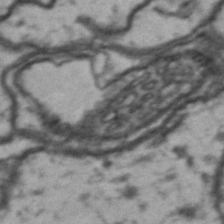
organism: Drosophila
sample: Brain